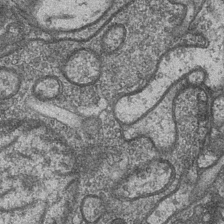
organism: Drosophila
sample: Optic medulla